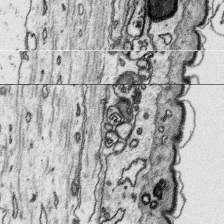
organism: Platynereis dumerilii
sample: Parapodia